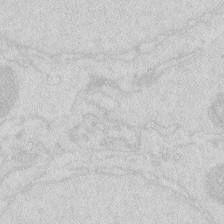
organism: Zebrafish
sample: Macrophage